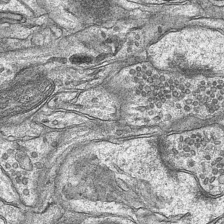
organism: Mouse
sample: CA1 Hippocampus